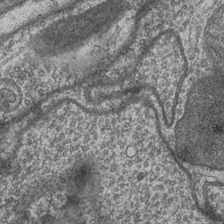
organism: Drosophila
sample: Optic medulla